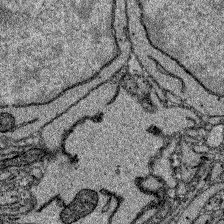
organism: Zebrafish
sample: Larval olfactory bulb